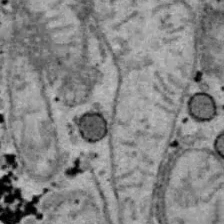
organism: Mouse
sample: Liver from an obese (ob/ob) mouse